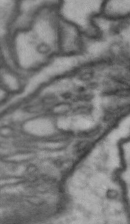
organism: Drosophila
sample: Brain